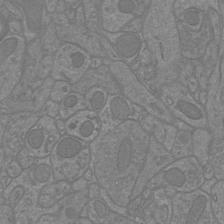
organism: Mouse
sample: Cortical neurons